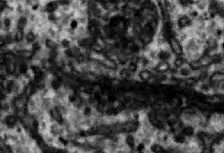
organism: Human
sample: HeLa cells